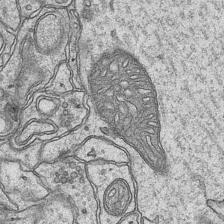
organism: Mouse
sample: CA1 Hippocampus